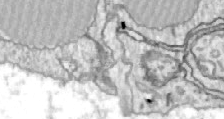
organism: Zebrafish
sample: Actinotrichia fibers